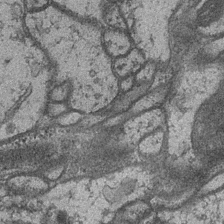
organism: Drosophila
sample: Optic medulla